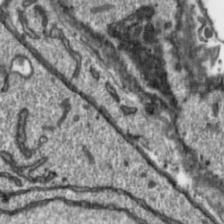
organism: Toxoplasma gondii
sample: Parasites in a vacuole inside a host cell